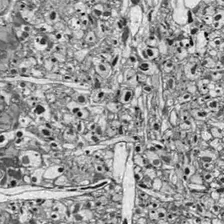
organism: Drosophila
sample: Optic lobe